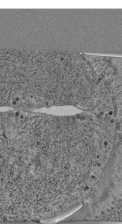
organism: C. elegans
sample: C. elegans pharynx